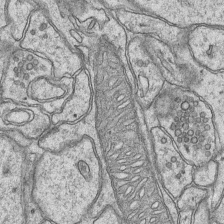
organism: Mouse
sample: CA1 Hippocampus